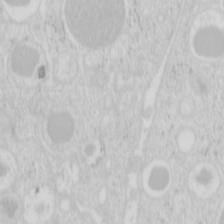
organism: Mouse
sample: Pancreas